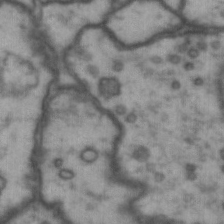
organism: Drosophila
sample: Brain